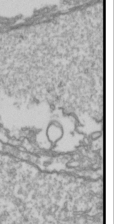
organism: Drosophila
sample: Cell division; meiosis; drosophila spermatocytes